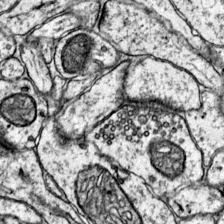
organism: Mouse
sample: Primary visual cortex